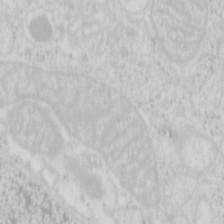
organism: Mouse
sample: Pancreas